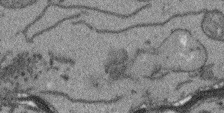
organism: Arabidopsis thaliana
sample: Root tip